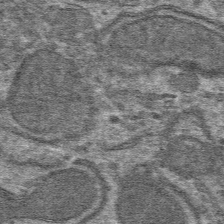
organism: Mouse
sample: Mouse hepatocytes